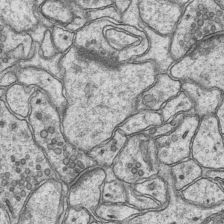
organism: Mouse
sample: CA1 Hippocampus